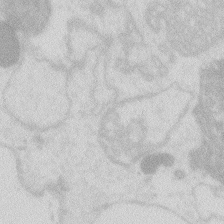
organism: Zebrafish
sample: Macrophage